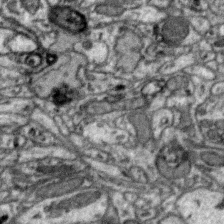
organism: Zebra finch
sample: Brain